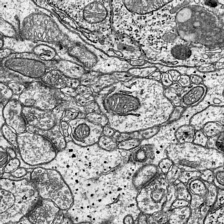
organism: Mouse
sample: Visual Cortex